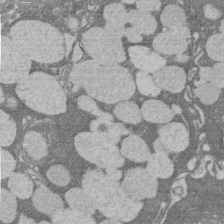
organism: Rat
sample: Salivary granule